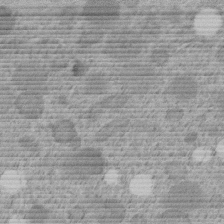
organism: C. elegans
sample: C. elegans embryo early stage